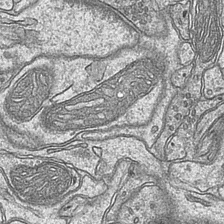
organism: Mouse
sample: CA1 Hippocampus